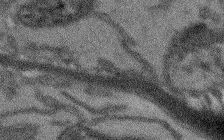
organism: Arabidopsis thaliana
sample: Root tip